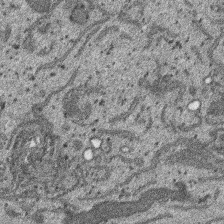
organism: Human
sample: Lung epithelial cells infected with SARS-CoV-2